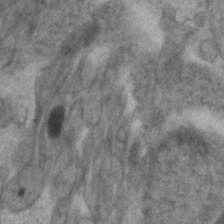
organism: Zebrafish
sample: Zebrafish embryo